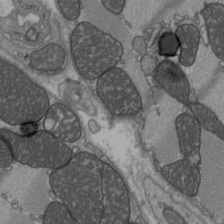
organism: C57BL Mouse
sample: Heart